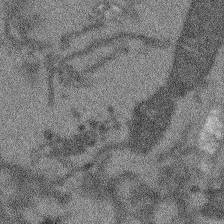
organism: Arabidopsis thaliana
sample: Root tip